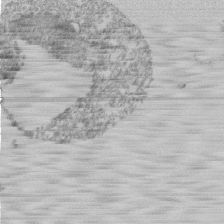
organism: Mouse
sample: Activated Pmel transgenic CD8+ T Cells